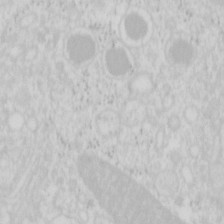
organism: Mouse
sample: Pancreas